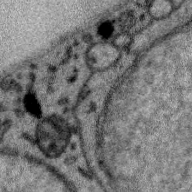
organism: Zebra finch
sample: Brain